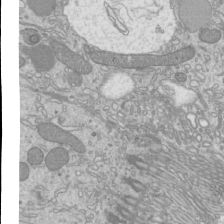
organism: Mouse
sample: Cilia; mouse epididymis